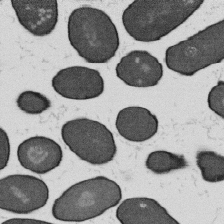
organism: B. subtilis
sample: Bacterial spore